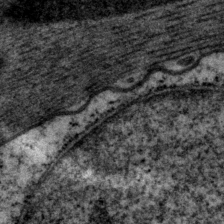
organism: P. pacificus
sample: Pharynx